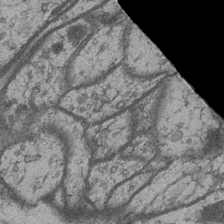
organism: Drosophila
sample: Optic medulla